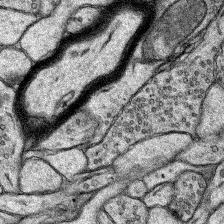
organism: Rat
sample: Hippocampus